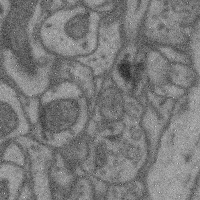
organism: Mouse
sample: Cerebral cortex